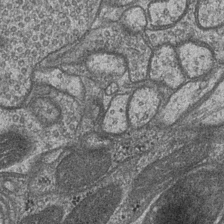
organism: Drosophila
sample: Optic medulla